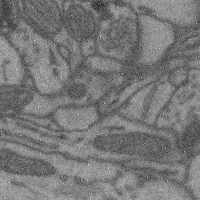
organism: Mouse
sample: Cerebral cortex